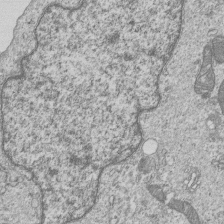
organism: Human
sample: MDA-MB-231 cells